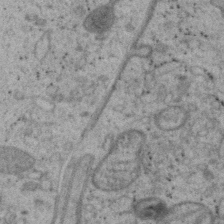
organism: Human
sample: HeLa cells